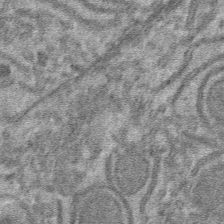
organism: Mouse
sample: Mouse hepatocytes